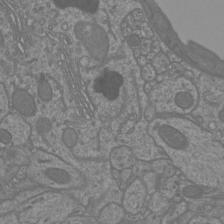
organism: Mouse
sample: Cortical neurons